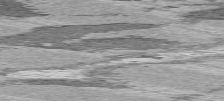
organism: C57BL Mouse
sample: Heart